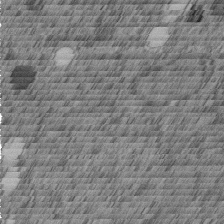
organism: C. elegans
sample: C. elegans embryo early stage